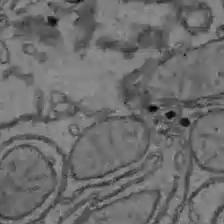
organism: C57BL Mouse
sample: Liver